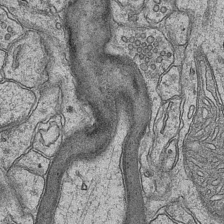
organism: Mouse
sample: CA1 Hippocampus